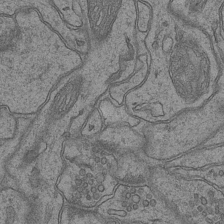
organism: Mouse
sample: CA1 Hippocampus